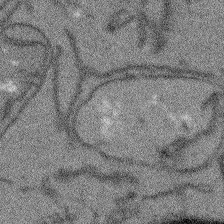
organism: Arabidopsis thaliana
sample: Root tip